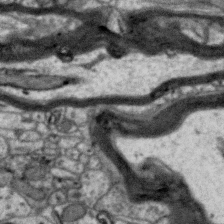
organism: Zebra finch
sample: Brain